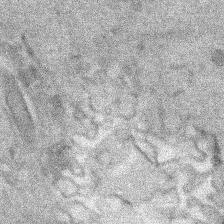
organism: Human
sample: Mitochondria in HCT116 cells